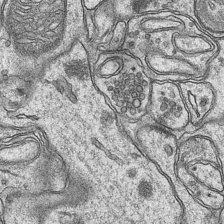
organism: Mouse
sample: CA1 Hippocampus